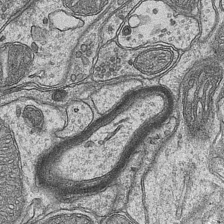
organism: Mouse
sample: CA1 Hippocampus